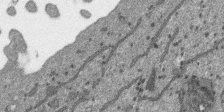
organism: Human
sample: Lung epithelial cells infected with SARS-CoV-2